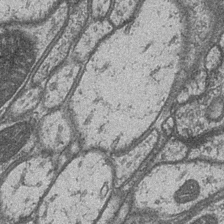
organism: Drosophila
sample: Optic medulla